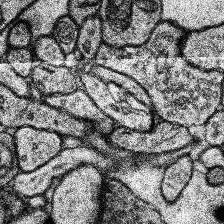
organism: Human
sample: Temporal Lobe